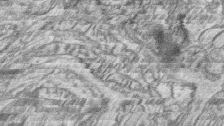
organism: Zebrafish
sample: synaptic ribbons in rod cells and cone cells